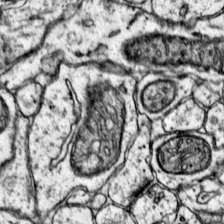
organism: Mouse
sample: Primary visual cortex